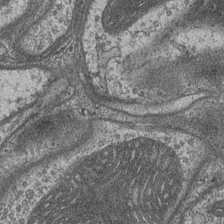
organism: Drosophila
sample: Optic medulla